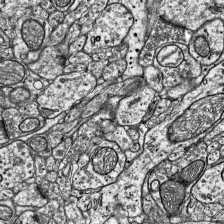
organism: Mouse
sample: Visual Cortex